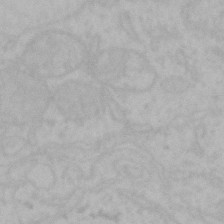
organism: Mouse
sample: Choroid plexus